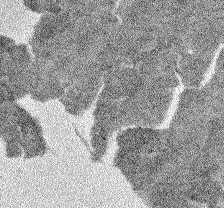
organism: Human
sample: HeLa cells